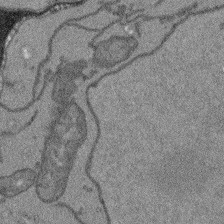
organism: Arabidopsis thaliana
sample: Root tip